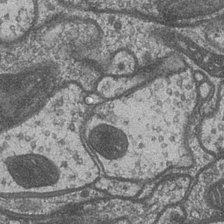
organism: Drosophila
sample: Optic medulla